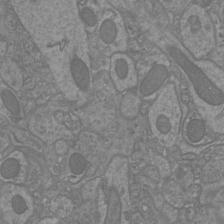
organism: Mouse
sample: Cortical neurons